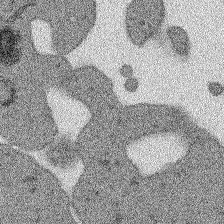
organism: Human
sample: HeLa cells